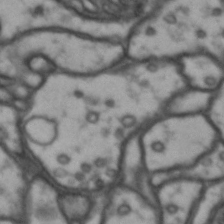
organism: Drosophila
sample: Brain